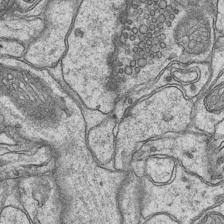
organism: Mouse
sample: CA1 Hippocampus